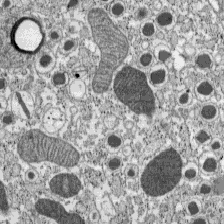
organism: C57BL Mouse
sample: Pancreatic islet